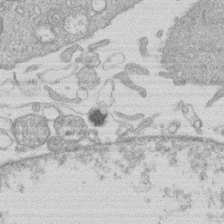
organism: Human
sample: Macrophage cells